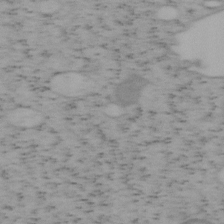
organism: Mouse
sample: OT-I killer T cells with ID8 ovarian cancer cells